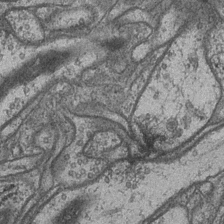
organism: Drosophila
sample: Optic medulla